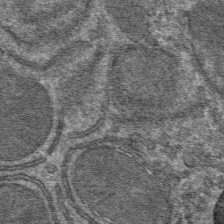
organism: Mouse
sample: Mouse hepatocytes